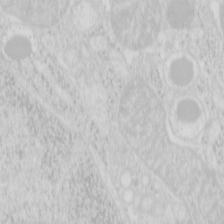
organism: Mouse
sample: Pancreas